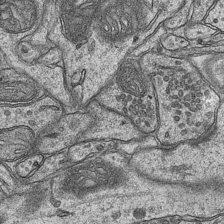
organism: Mouse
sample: CA1 Hippocampus